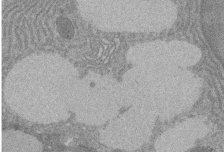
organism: Rat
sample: Salivary granule